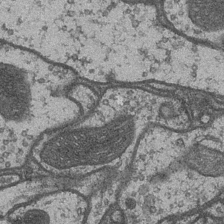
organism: Drosophila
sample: Optic medulla